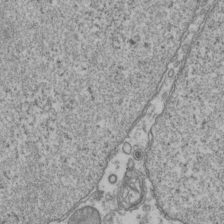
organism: Human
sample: Activated Jurkat CD4+ T cells